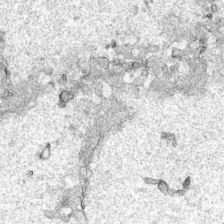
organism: Human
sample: Mitochondria in HCT116 cells